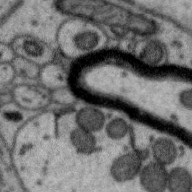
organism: Zebra finch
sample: Brain